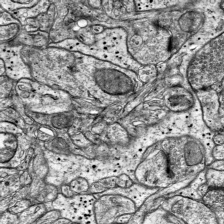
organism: Mouse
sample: Visual Cortex